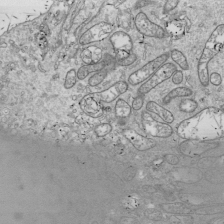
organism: Drosophila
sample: Cell division; meiosis; drosophila spermatocytes